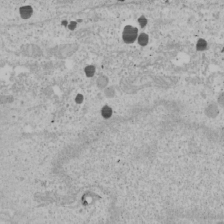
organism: Human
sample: Mitochondria in U2OS cells